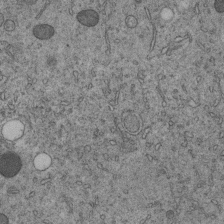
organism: C. elegans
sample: C. elegans embryo early stage